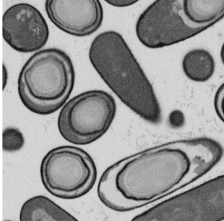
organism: B. subtilis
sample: Bacterial spore